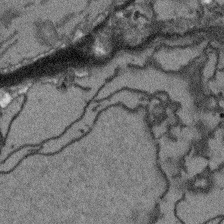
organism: Arabidopsis thaliana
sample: Root tip